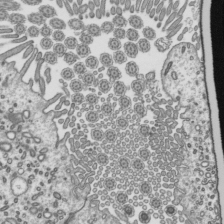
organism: Mouse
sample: Mouse epididymis efferent ductule cilia